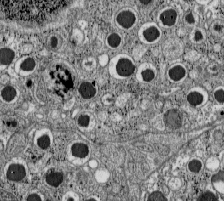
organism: C57BL Mouse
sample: Pancreatic islet